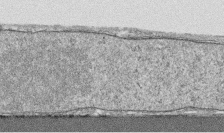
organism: Human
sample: CRL-1474